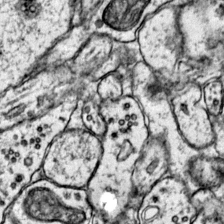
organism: Mouse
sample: Primary visual cortex